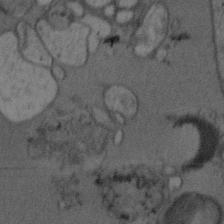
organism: Human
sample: HeLa cells